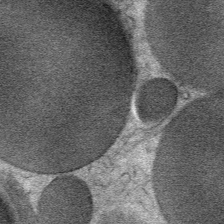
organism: Mouse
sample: Mouse Salivary gland